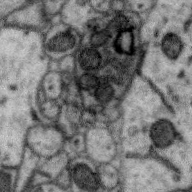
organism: Zebra finch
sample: Brain